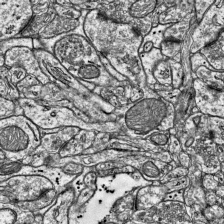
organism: Mouse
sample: Visual Cortex